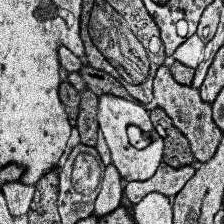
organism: Human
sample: Temporal Lobe